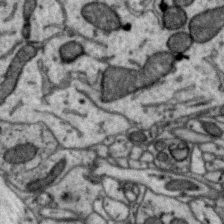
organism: Zebra finch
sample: Brain